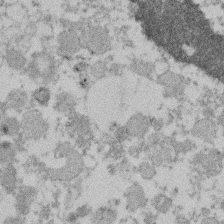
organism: Mouse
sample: Dividing mouse embryo 1 cell stage